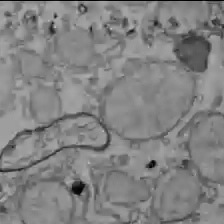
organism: C57BL Mouse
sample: Liver